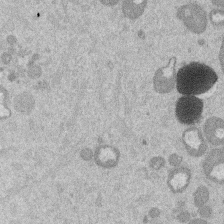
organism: Mouse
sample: Dividing mouse embryo 1 cell stage